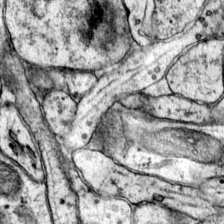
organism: Mouse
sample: Primary visual cortex